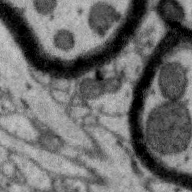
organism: Zebra finch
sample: Brain